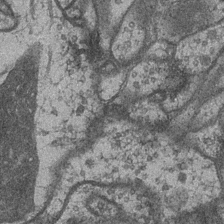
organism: Drosophila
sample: Optic medulla